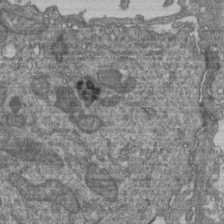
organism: Human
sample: Retinal organoid Rod and Cone cells